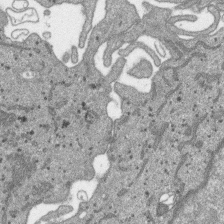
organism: Human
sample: Lung epithelial cells infected with SARS-CoV-2